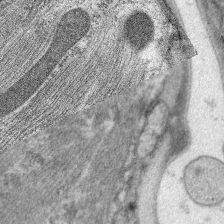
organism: C. elegans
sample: Pharynx